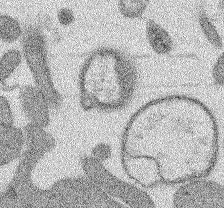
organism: Human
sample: HeLa cells